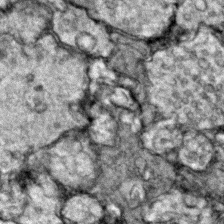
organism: Zebrafish